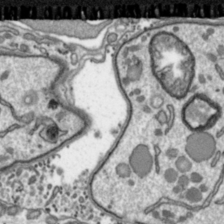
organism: Toxoplasma gondii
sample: Parasites in a vacuole inside a host cell